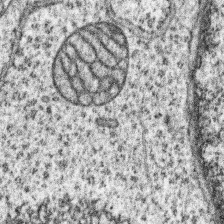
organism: Human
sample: HeLa cells